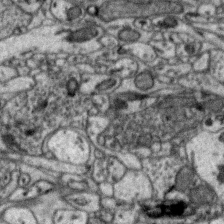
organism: Zebra finch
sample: Brain